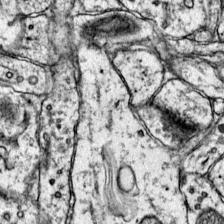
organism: Mouse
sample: Primary visual cortex